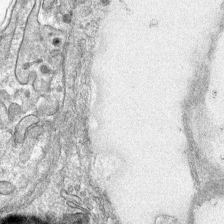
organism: Mouse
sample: Mouse hepatocytes